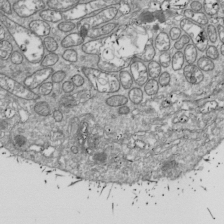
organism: Drosophila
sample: Cell division; meiosis; drosophila spermatocytes